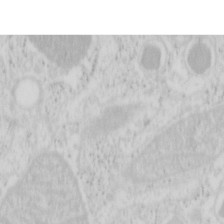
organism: Mouse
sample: Pancreas